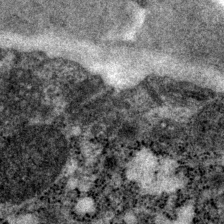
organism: P. pacificus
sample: Pharynx